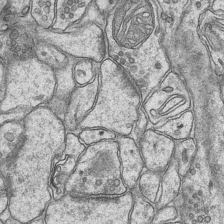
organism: Mouse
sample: CA1 Hippocampus